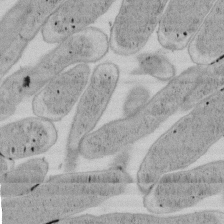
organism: E. coli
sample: Bacterial nucleoid